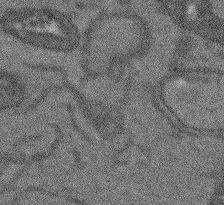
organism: Arabidopsis thaliana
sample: Root tip